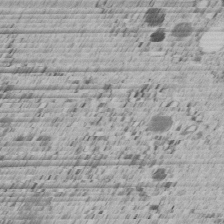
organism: C. elegans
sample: C. elegans embryo early stage